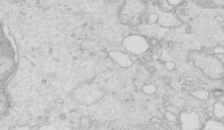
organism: Mouse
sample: Multiciliated cells